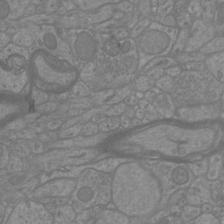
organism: Mouse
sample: Cortical neurons